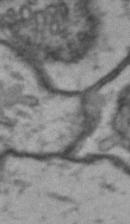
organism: Drosophila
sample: Brain